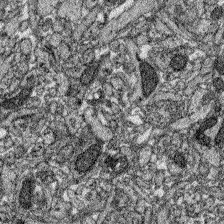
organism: Zebrafish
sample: Larval olfactory bulb